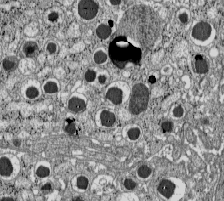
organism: C57BL Mouse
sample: Pancreatic islet